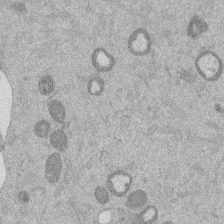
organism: Mouse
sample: Dividing mouse embryo 1 cell stage